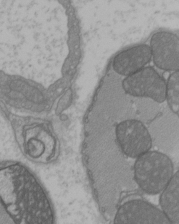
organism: C57BL Mouse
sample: Heart